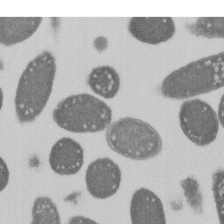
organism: E. coli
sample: Bacterial nucleoid